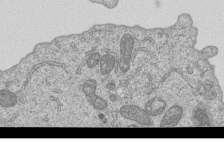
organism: Human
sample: MDA-MB-231 cells